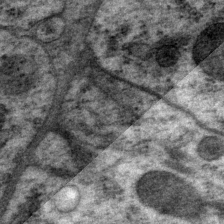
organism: P. pacificus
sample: Pharynx